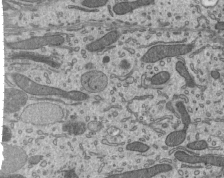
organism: Mouse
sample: Mouse epididymis efferent ductule cilia